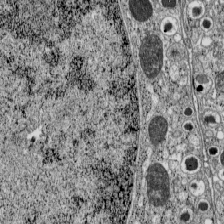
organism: C57BL Mouse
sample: Pancreatic islet